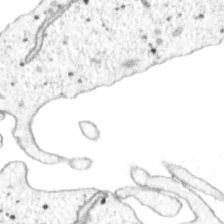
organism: Human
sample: HeLa cells